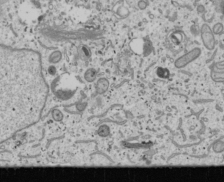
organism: Human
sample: Mitochondria in U2OS cells